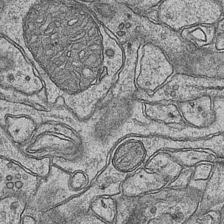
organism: Mouse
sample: CA1 Hippocampus